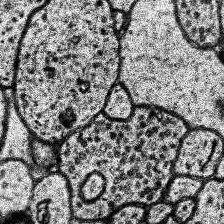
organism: Human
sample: Temporal Lobe